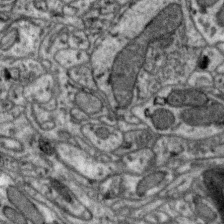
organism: Zebra finch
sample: Brain